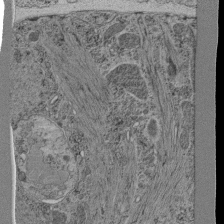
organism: C. elegans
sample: C. elegans pharynx